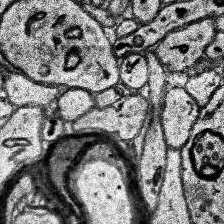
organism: Human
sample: Temporal Lobe